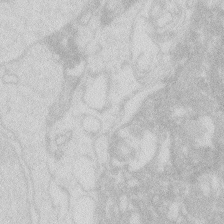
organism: Zebrafish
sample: Macrophage